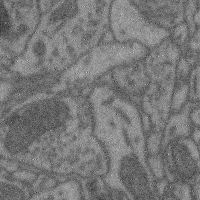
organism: Mouse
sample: Cerebral cortex